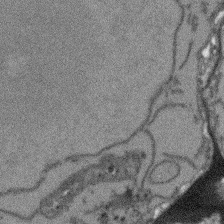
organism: Arabidopsis thaliana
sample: Root tip